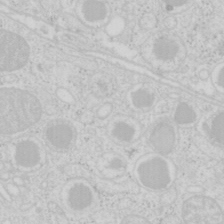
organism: Mouse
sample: Pancreas